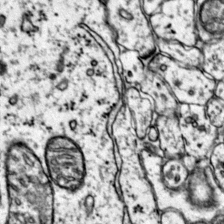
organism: Mouse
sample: Primary visual cortex